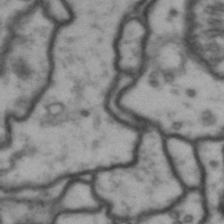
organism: Drosophila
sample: Brain